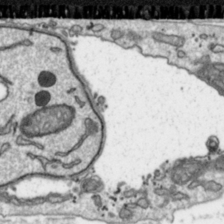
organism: Toxoplasma gondii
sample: Parasites in a vacuole inside a host cell